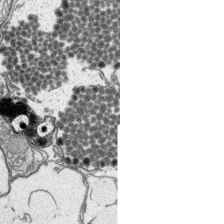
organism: Platynereis dumerilii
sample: Parapodia